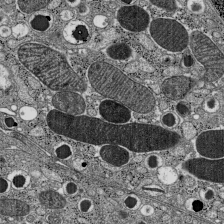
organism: C57BL Mouse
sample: Pancreatic islet